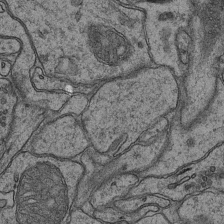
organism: Mouse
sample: CA1 Hippocampus